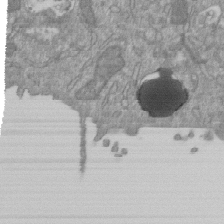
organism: Mouse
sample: ED-1 cell nuclei; centrioles